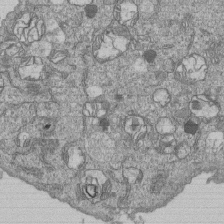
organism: Human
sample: MDA-MB-231 cells